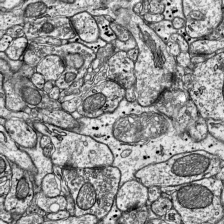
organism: Mouse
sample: Visual Cortex